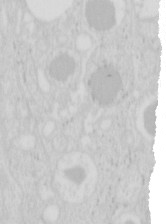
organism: Mouse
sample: Pancreas